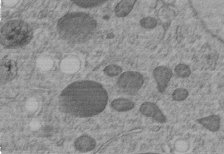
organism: C. elegans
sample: C. elegans embryo early stage